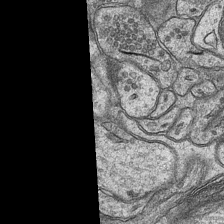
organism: Mouse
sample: CA1 Hippocampus